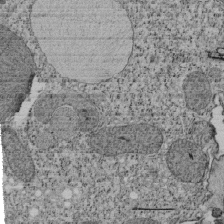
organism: Tetrahymena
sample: Cilia in tetrahymena